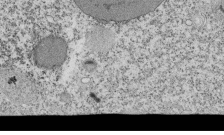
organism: Tetrahymena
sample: Cilia in tetrahymena